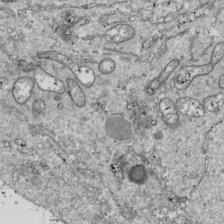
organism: Drosophila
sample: Cell division; meiosis; drosophila spermatocytes